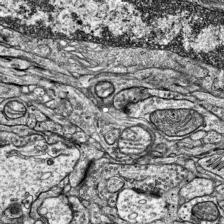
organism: Mouse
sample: Visual Cortex